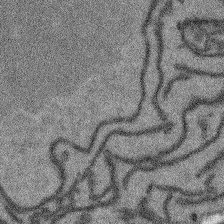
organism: Arabidopsis thaliana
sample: Root tip